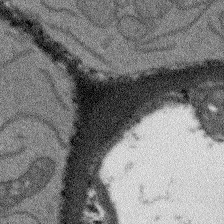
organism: Arabidopsis thaliana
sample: Root tip